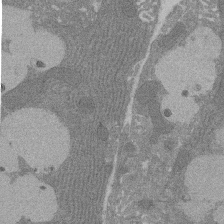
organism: Rat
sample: Salivary granule